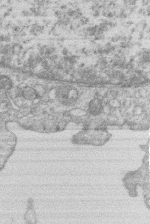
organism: Human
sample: Macrophage cells